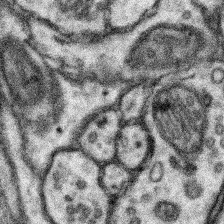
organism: Mouse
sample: Somatosensory cortex neuropil